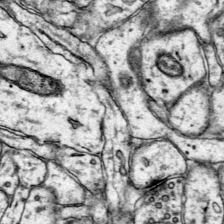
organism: Mouse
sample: Primary visual cortex